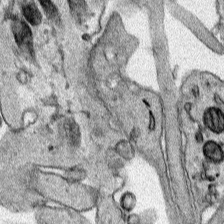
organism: Human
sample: Mitochondria in HCT116 cells